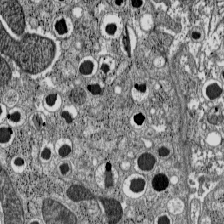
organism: C57BL Mouse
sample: Pancreatic islet